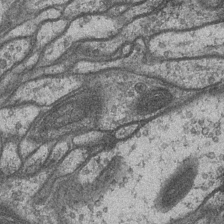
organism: Drosophila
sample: Optic medulla